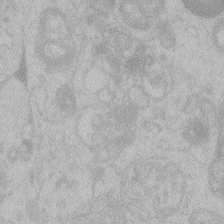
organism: Zebrafish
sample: Macrophage infected with Toxoplasma gondii